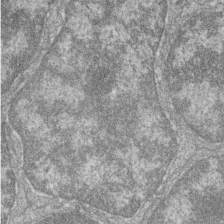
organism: Zebrafish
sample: Cilia; retinal pigment epithelium